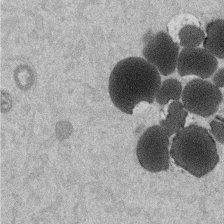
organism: Mouse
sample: Dividing mouse embryo 1 cell stage